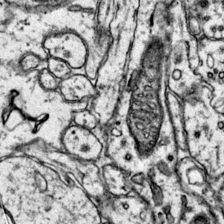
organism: Mouse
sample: Primary visual cortex